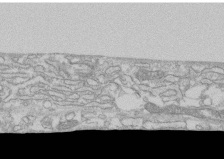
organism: Human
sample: CRL-1474